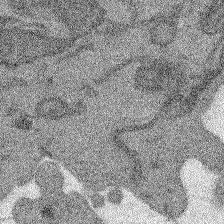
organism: Human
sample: HeLa cells